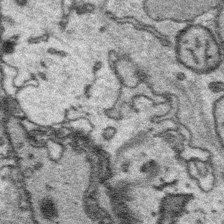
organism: Platynereis dumerilii